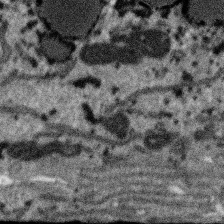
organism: Human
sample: Lung epithelial cells infected with SARS-CoV-2